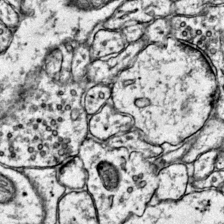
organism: Mouse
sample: Primary visual cortex